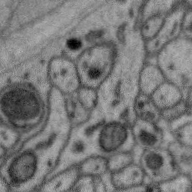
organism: Zebra finch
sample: Brain